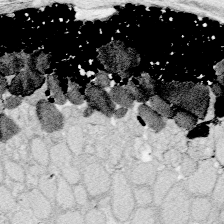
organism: Zebrafish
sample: Whole-Brain